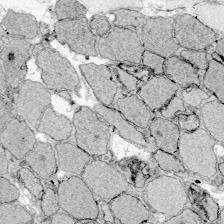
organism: Zebrafish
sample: Whole-Brain